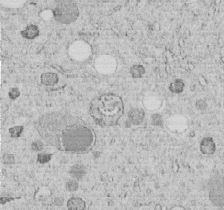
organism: C. elegans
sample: C. elegans embryo early stage